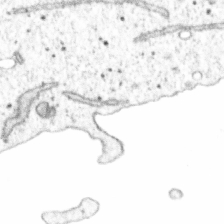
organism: Human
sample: HeLa cells